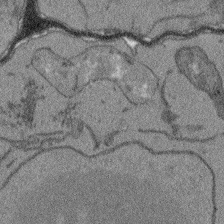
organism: Arabidopsis thaliana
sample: Root tip